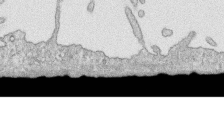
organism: Human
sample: HeLa cell HIV synapse